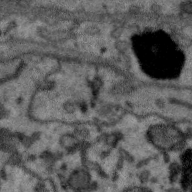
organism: Zebra finch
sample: Brain